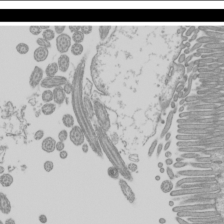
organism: Mouse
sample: Cilia; mouse epididymis